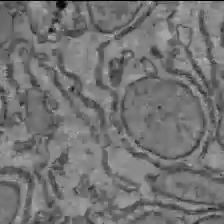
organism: C57BL Mouse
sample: Liver